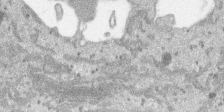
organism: Human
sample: Lung epithelial cells infected with SARS-CoV-2